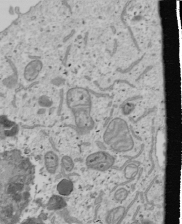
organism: Human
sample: Mitochondria in U2OS cells